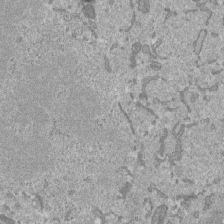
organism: Mouse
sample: ED-1 cell nuclei; centrioles